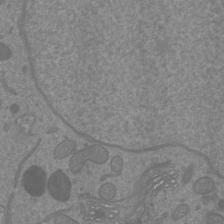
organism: Mouse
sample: Cortical neurons